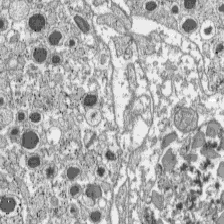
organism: C57BL Mouse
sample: Pancreatic islet